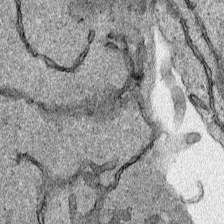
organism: Human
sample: Mitochondria in HCT116 cells